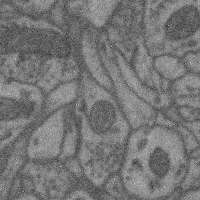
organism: Mouse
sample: Cerebral cortex